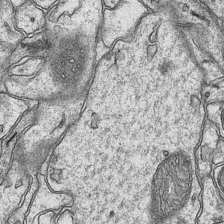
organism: Mouse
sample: CA1 Hippocampus